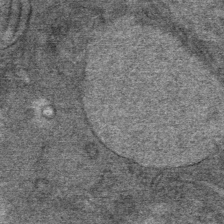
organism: Mouse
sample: Mouse Salivary gland